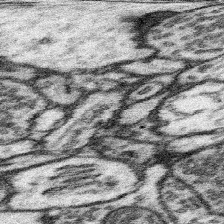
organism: Mouse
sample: Somatosensory cortex neuropil